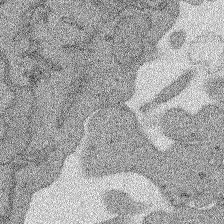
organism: Human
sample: HeLa cells